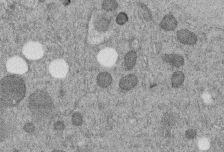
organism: C. elegans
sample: C. elegans embryo early stage